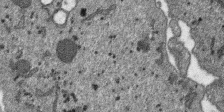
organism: Human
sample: Lung epithelial cells infected with SARS-CoV-2